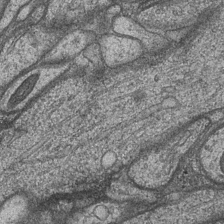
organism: Drosophila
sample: Optic medulla